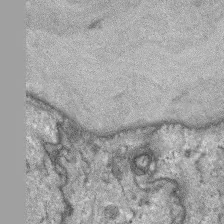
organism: Mouse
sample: Corneal nerves